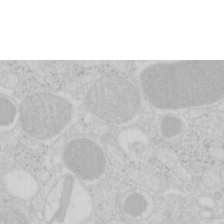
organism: Mouse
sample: Pancreas